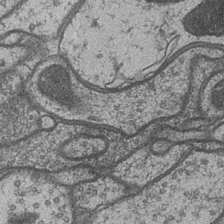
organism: Drosophila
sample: Optic medulla